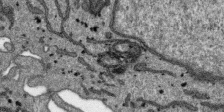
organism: Human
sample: Lung epithelial cells, uninfected (mock) control